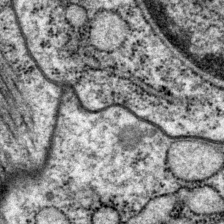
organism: P. pacificus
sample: Pharynx